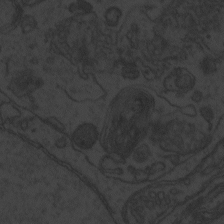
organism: Zebrafish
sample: Macrophage infected with Toxoplasma gondii